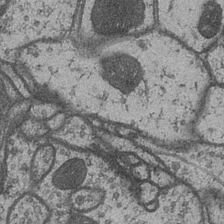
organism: Drosophila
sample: Optic medulla